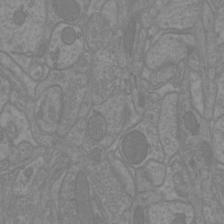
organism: Mouse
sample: Cortical neurons